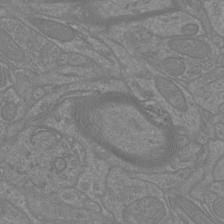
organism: Mouse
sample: Cortical neurons